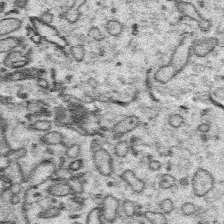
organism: Platynereis dumerilii